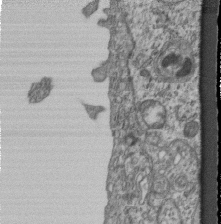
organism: Mouse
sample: Centriole in ependymal cells